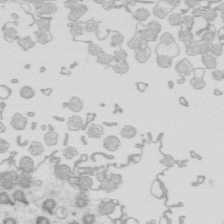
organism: Mouse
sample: Multiciliated cells